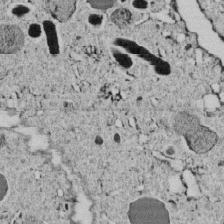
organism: C. elegans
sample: C. elegans embryo early stage